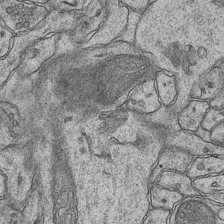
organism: Mouse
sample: CA1 Hippocampus